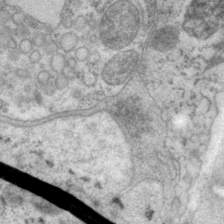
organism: P. pacificus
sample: Pharynx